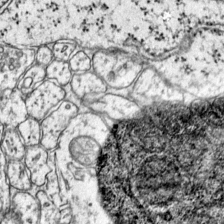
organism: Mouse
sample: Primary visual cortex